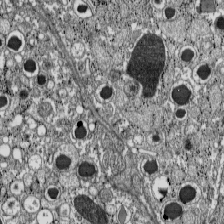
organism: C57BL Mouse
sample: Pancreatic islet